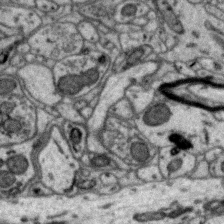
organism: Zebra finch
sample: Brain